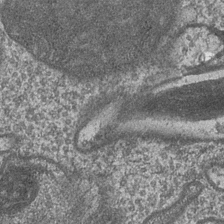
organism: Drosophila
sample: Optic medulla